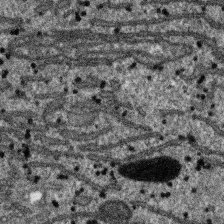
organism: Human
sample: Lung epithelial cells infected with SARS-CoV-2